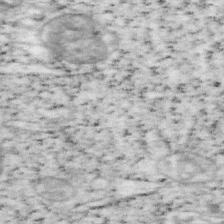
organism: Mouse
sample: OT-I killer T cells with ID8 ovarian cancer cells